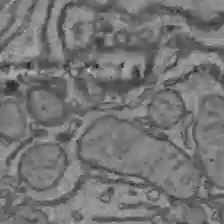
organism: C57BL Mouse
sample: Liver